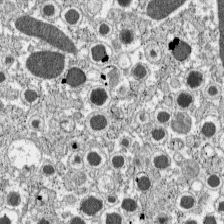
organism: C57BL Mouse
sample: Pancreatic islet